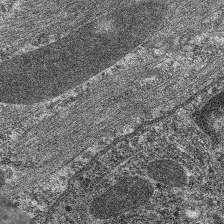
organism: C. elegans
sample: Pharynx